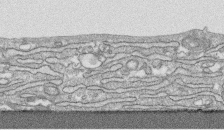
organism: Human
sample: CRL-1474